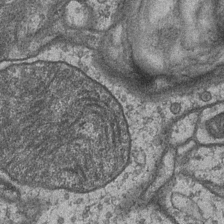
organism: Drosophila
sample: Optic medulla